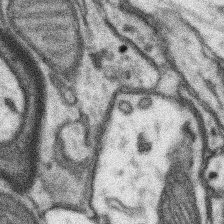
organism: Mouse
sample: Somatosensory cortex neuropil